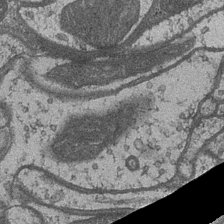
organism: Drosophila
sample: Optic medulla